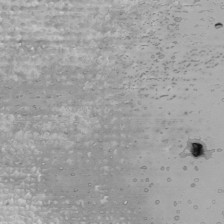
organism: Human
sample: Mitochondria in U2OS cells